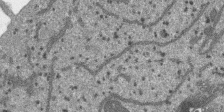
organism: Human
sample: Lung epithelial cells infected with SARS-CoV-2